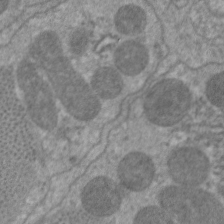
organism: C. elegans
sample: Pharynx